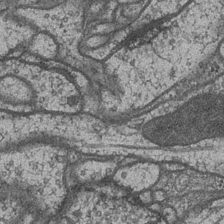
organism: Drosophila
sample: Optic medulla